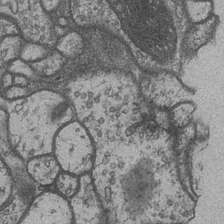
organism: Drosophila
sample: Optic medulla